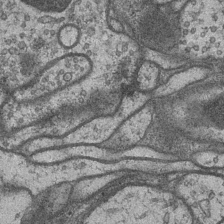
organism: Drosophila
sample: Optic medulla